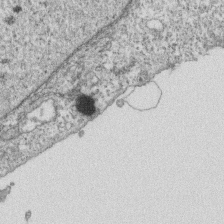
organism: Human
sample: HeLa cell HIV synapse